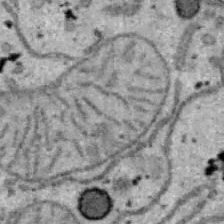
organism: Mouse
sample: Liver from an obese (ob/ob) mouse